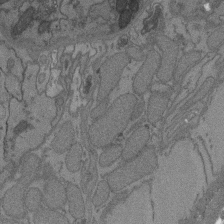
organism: C. elegans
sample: AFD neurons C. elegans